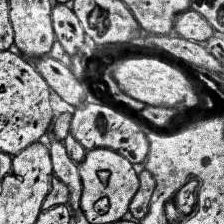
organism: Human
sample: Temporal Lobe